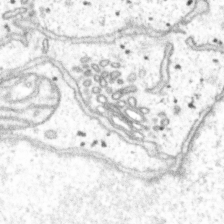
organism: Human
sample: HeLa cells